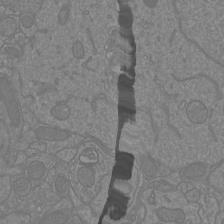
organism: Mouse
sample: Cortical neurons